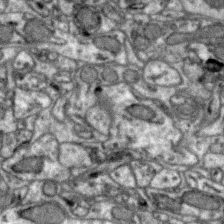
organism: Zebra finch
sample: Brain